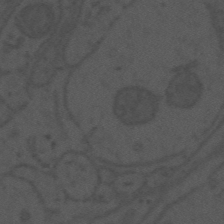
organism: Mouse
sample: Suprachiasmatic nucleus